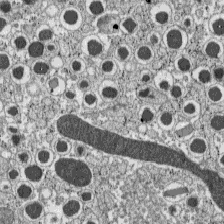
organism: C57BL Mouse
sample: Pancreatic islet